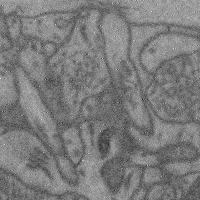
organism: Mouse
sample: Cerebral cortex